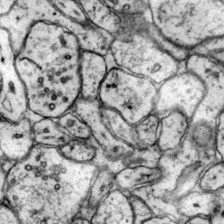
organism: Mouse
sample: Primary visual cortex